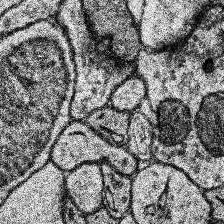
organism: Human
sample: Temporal Lobe